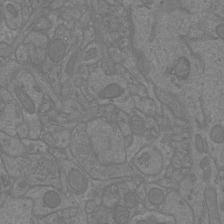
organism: Mouse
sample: Cortical neurons